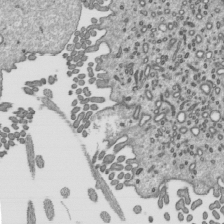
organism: Mouse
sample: Mouse epididymis efferent ductule cilia